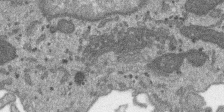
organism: Human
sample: Lung epithelial cells infected with SARS-CoV-2